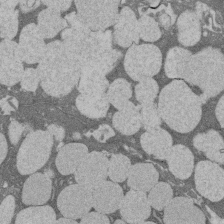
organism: Rat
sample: Salivary granule